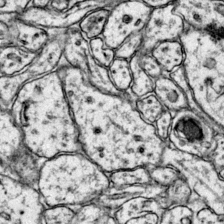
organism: Mouse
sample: Primary visual cortex